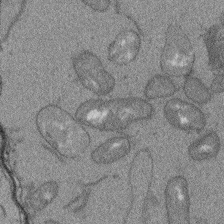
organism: Arabidopsis thaliana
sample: Root tip